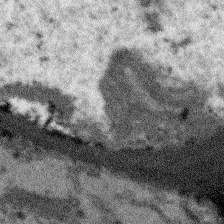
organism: Arabidopsis thaliana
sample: Root tip